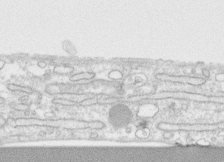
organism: Human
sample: CRL-1474